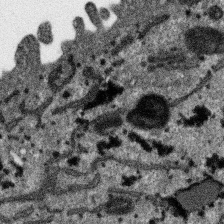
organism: Human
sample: Lung epithelial cells infected with SARS-CoV-2